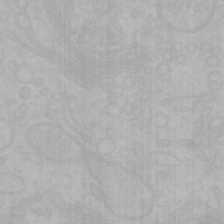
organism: Mouse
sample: Choroid plexus